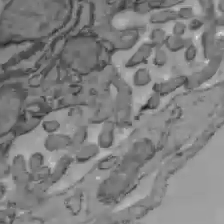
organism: C57BL Mouse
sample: Liver